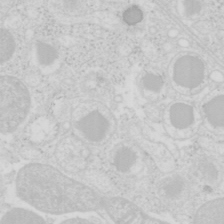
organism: Mouse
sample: Pancreas